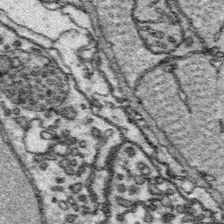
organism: Platynereis dumerilii